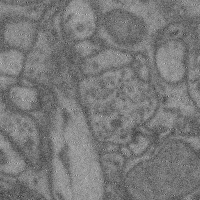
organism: Mouse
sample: Cerebral cortex